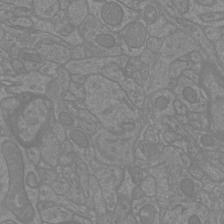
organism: Mouse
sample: Cortical neurons